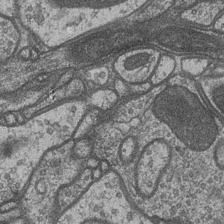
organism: Drosophila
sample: Optic medulla